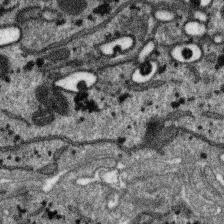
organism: Human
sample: Lung epithelial cells infected with SARS-CoV-2